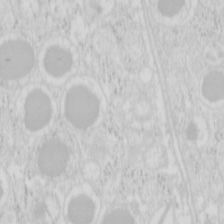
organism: Mouse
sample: Pancreas